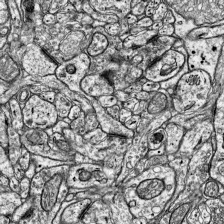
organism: Mouse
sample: Visual Cortex